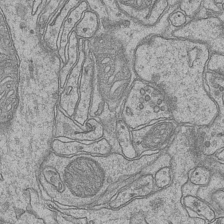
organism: Mouse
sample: CA1 Hippocampus